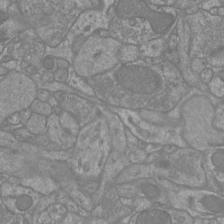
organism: Mouse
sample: Cortical neurons